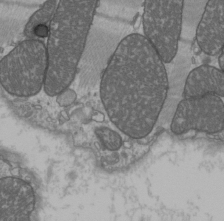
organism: C57BL Mouse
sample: Heart